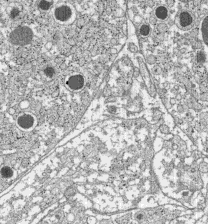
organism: C57BL Mouse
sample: Pancreatic islet